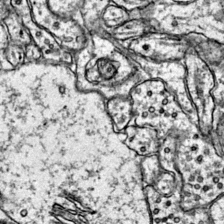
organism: Mouse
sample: Primary visual cortex